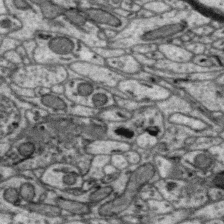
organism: Zebra finch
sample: Brain